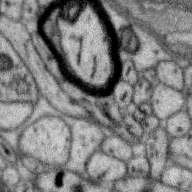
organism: Zebra finch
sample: Brain